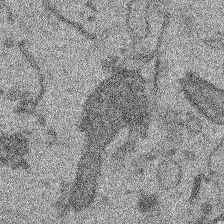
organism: Human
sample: HeLa cells